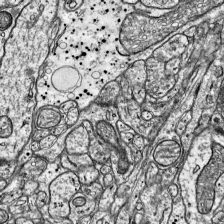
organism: Mouse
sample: Visual Cortex